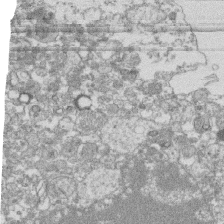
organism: Human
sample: HeLa cell HIV synapse